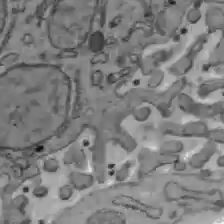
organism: C57BL Mouse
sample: Liver